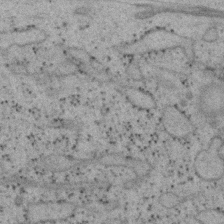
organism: Human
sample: HeLa cells